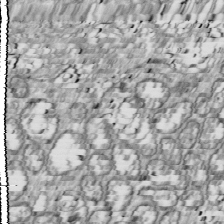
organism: Drosophila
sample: Cell division; meiosis; drosophila spermatocytes